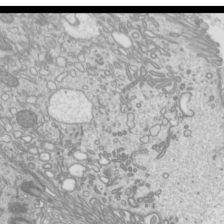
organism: Mouse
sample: Cilia; mouse epididymis